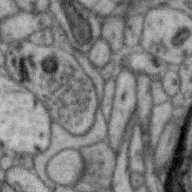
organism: Zebra finch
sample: Brain